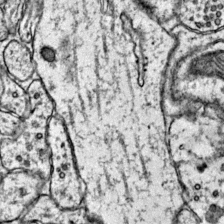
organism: Mouse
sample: Primary visual cortex